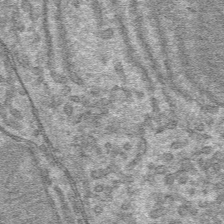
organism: Mouse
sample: Mouse hepatocytes